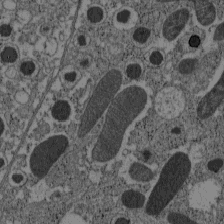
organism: C57BL Mouse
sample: Pancreatic islet